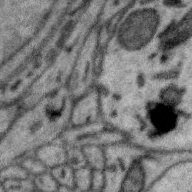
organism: Zebra finch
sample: Brain